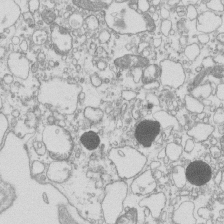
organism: Mouse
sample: Macrophages